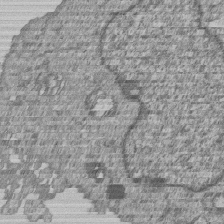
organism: Human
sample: MDA-MB-231 cells